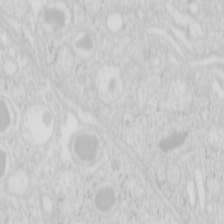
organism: Mouse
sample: Pancreas